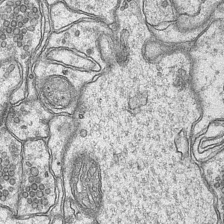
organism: Mouse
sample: CA1 Hippocampus